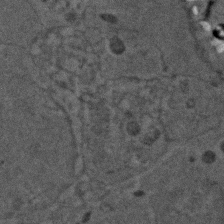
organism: Zebrafish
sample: Zebrafish embryo